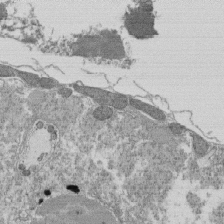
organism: Tetrahymena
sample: Cilia in tetrahymena